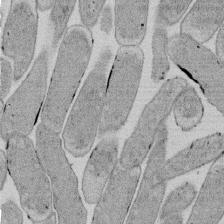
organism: E. coli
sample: Bacterial nucleoid